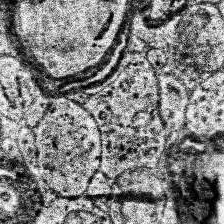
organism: Human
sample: Temporal Lobe